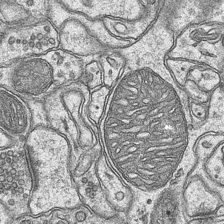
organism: Mouse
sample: CA1 Hippocampus